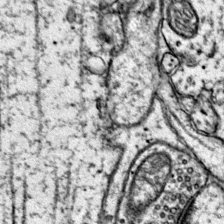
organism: Mouse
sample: Primary visual cortex